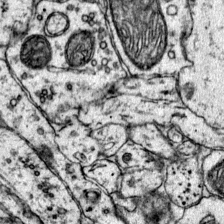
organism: Mouse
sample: Primary visual cortex